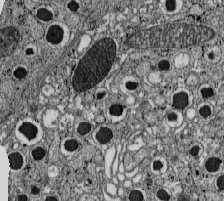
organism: C57BL Mouse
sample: Pancreatic islet